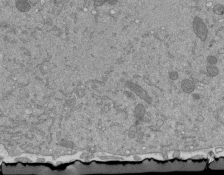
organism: Mouse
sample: ED-1 cell nuclei; centrioles